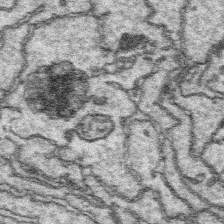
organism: Platynereis dumerilii